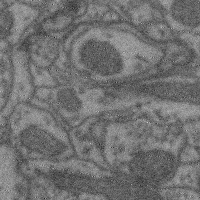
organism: Mouse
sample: Cerebral cortex